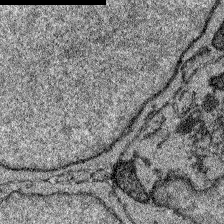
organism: Zebrafish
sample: Larval olfactory bulb